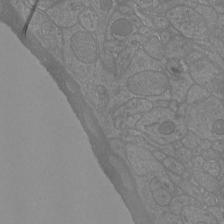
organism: Mouse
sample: Cortical neurons